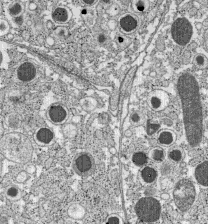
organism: C57BL Mouse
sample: Pancreatic islet